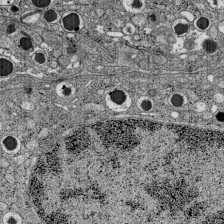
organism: C57BL Mouse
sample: Pancreatic islet